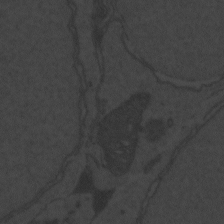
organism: Zebrafish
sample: Macrophage infected with Toxoplasma gondii